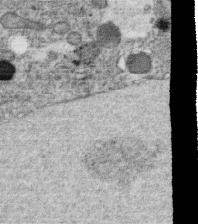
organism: C. elegans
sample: C. elegans oocyte; sperm cells